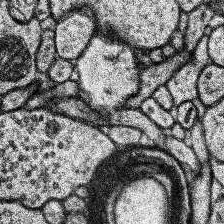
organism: Human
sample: Temporal Lobe